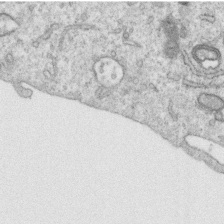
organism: Human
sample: Centriole in RPE cells